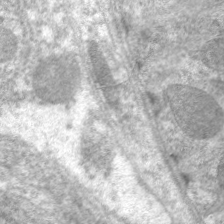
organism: C. elegans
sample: Pharynx